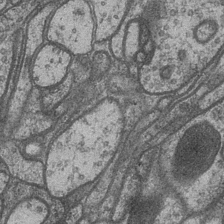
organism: Drosophila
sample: Optic medulla